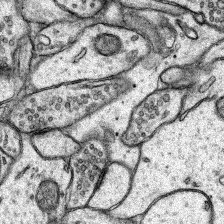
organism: Rat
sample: Hippocampus